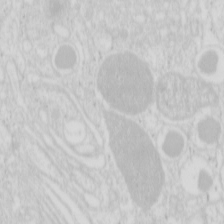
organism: Mouse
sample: Pancreas